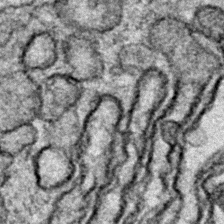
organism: Zebrafish